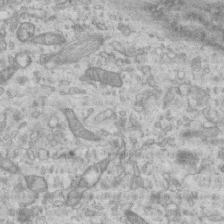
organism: Mouse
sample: Centriole in ependymal cells